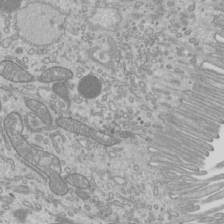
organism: Mouse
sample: Cilia; mouse epididymis